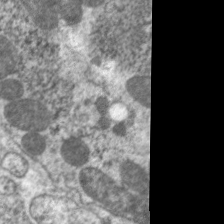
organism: C. elegans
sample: Pharynx